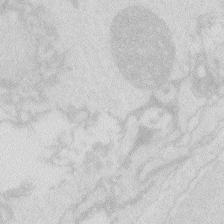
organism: Zebrafish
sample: Macrophage